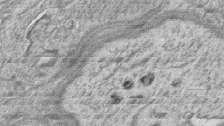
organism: Zebrafish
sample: synaptic ribbons in rod cells and cone cells